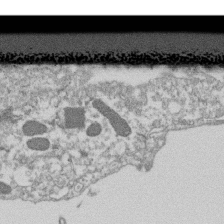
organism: Dictyostelium discoideum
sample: Dictyostelium multivesicular bodies